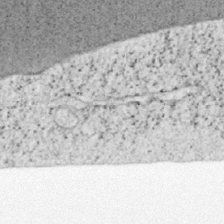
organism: Mouse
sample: OT-I killer T cells with ID8 ovarian cancer cells